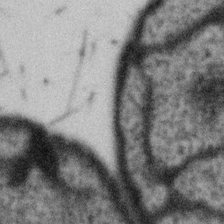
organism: Gemmata obscuriglobus